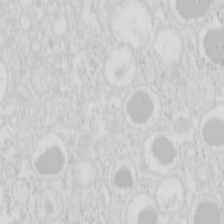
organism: Mouse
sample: Pancreas